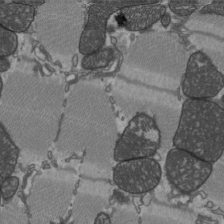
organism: C57BL Mouse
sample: Heart